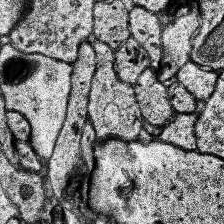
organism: Human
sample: Temporal Lobe